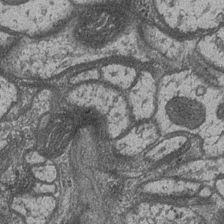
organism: Drosophila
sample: Optic medulla